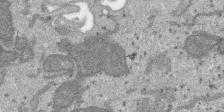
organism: Human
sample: Lung epithelial cells infected with SARS-CoV-2